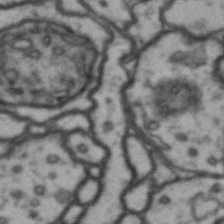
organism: Drosophila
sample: Brain